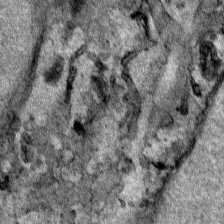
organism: Human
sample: Mitochondria in HCT116 cells